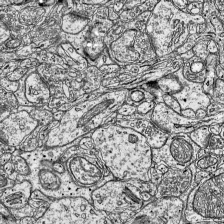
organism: Mouse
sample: Visual Cortex